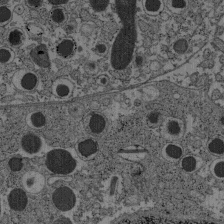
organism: C57BL Mouse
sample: Pancreatic islet